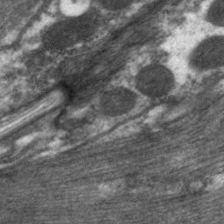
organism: C. elegans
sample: Pharynx